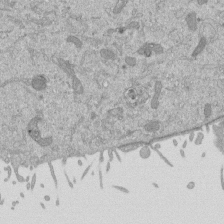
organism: Mouse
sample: ED-1 cell nuclei; centrioles